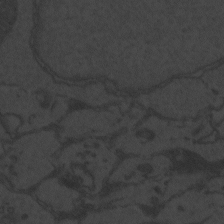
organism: Zebrafish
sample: Macrophage infected with Toxoplasma gondii